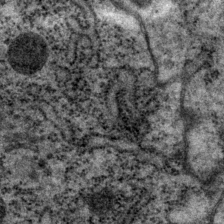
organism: P. pacificus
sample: Pharynx